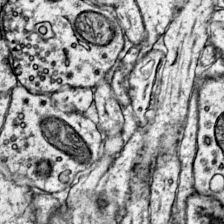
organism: Mouse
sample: Primary visual cortex